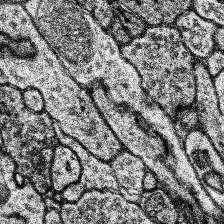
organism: Human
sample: Temporal Lobe